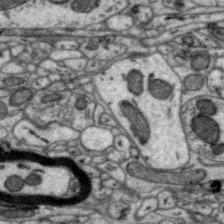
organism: Zebra finch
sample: Brain